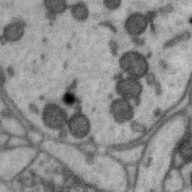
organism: Zebra finch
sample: Brain